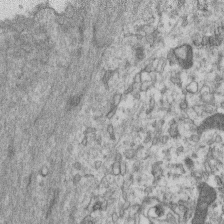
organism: Mouse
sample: Centriole in ependymal cells